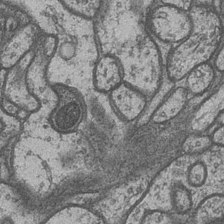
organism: Drosophila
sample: Optic medulla